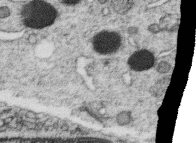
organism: C. elegans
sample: C. elegans oocyte; sperm cells